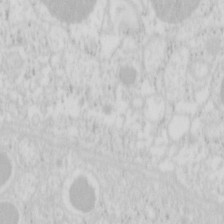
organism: Mouse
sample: Pancreas